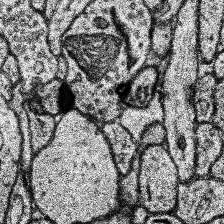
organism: Human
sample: Temporal Lobe